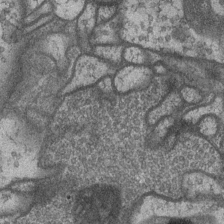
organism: Drosophila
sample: Optic medulla